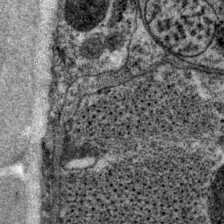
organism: P. pacificus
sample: Pharynx